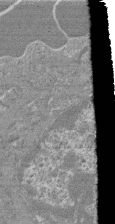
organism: Mouse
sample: Glomerulus